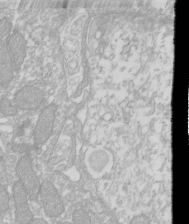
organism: Xenopus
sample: Cilia; centrioles in frog embryo cells